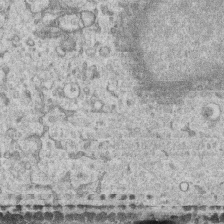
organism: Human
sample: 1205lu cells